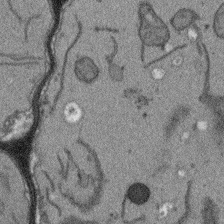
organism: Arabidopsis thaliana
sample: Root tip